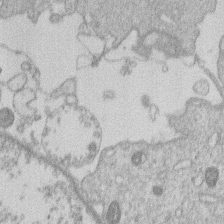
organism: Human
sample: Macrophage cells